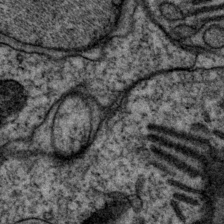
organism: P. pacificus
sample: Pharynx